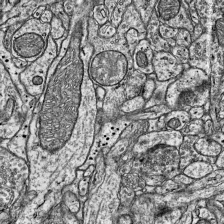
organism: Mouse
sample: Visual Cortex